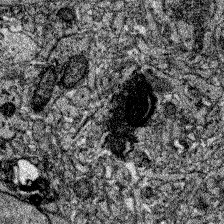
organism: Zebrafish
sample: Larval olfactory bulb